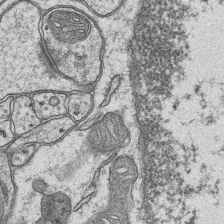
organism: Mouse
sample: CA1 Hippocampus